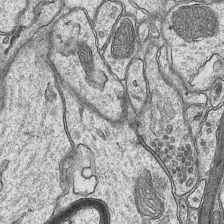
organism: Mouse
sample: CA1 Hippocampus